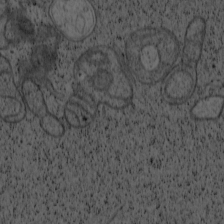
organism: African green monkey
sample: COS-7 cells